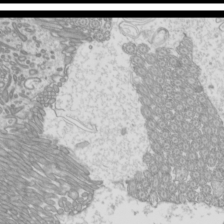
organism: Mouse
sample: Cilia; mouse epididymis